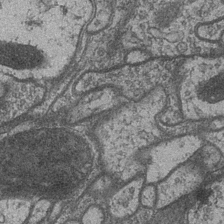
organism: Drosophila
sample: Optic medulla